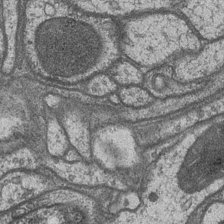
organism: Drosophila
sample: Optic medulla